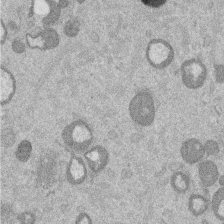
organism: Mouse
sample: Dividing mouse embryo 1 cell stage